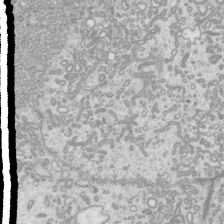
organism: Mouse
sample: Cilia; mouse epididymis